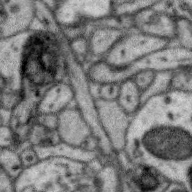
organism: Zebra finch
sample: Brain